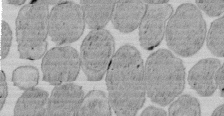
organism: E. coli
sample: Bacterial nucleoid